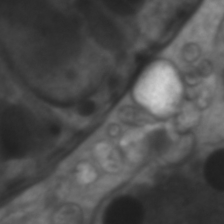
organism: C. elegans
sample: Pharynx